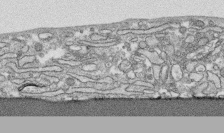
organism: Human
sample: CRL-1474